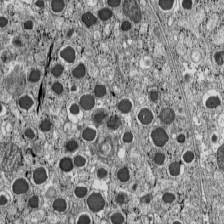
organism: C57BL Mouse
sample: Pancreatic islet